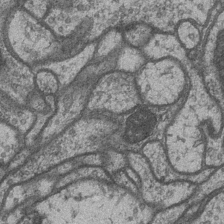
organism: Drosophila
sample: Optic medulla